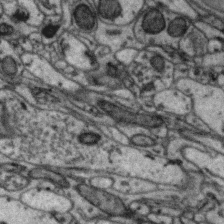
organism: Zebra finch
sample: Brain